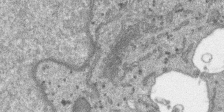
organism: Human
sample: Lung epithelial cells infected with SARS-CoV-2